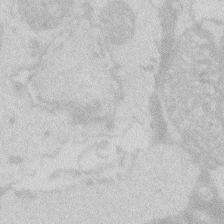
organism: Zebrafish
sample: Macrophage